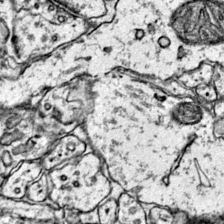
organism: Mouse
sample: Primary visual cortex